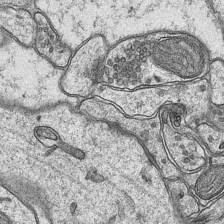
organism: Mouse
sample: CA1 Hippocampus